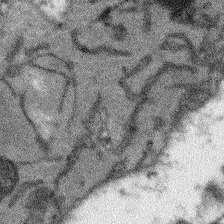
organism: Arabidopsis thaliana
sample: Root tip